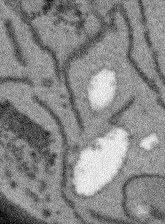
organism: Arabidopsis thaliana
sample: Root tip